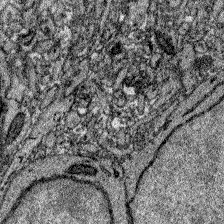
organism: Zebrafish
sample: Larval olfactory bulb